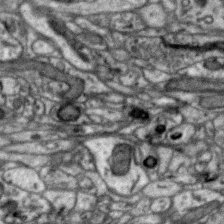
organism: Zebra finch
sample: Brain